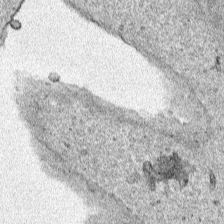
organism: Human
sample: Mitochondria in HCT116 cells